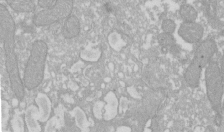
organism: Xenopus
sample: Cilia; centrioles in frog embryo cells